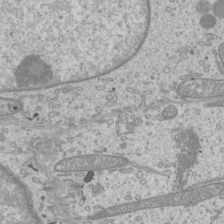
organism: Mouse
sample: Cilia; mouse epididymis